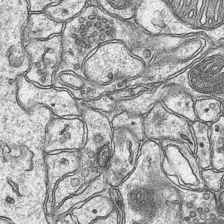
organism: Mouse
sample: CA1 Hippocampus